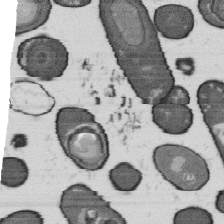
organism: B. subtilis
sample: Bacterial spore